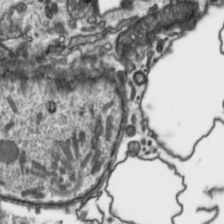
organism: Toxoplasma gondii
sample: Parasites in a vacuole inside a host cell